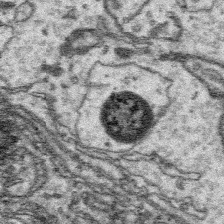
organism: Platynereis dumerilii